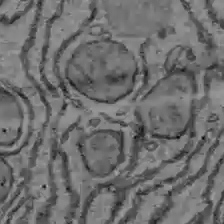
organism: C57BL Mouse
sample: Liver